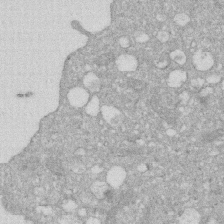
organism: Human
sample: HIV infected U937 cells